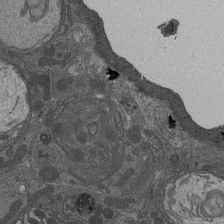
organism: Drosophila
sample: Antenna